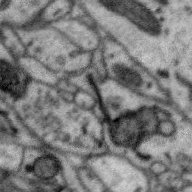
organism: Zebra finch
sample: Brain